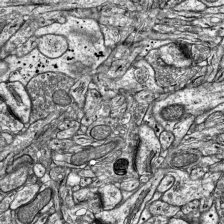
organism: Mouse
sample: Visual Cortex